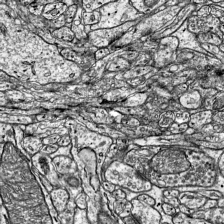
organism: Mouse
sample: Visual Cortex